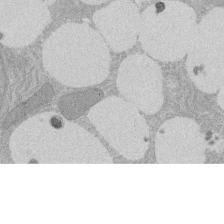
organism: Rat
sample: Salivary granule